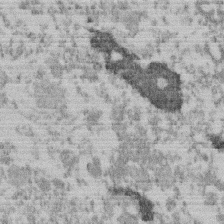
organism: Mouse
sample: Dividing mouse embryo 1 cell stage